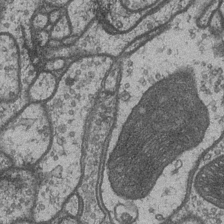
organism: Drosophila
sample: Optic medulla